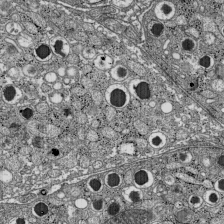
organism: C57BL Mouse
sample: Pancreatic islet